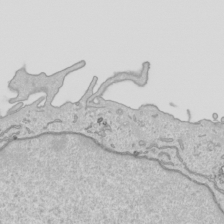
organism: Human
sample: Mitochondria in HCT116 cells